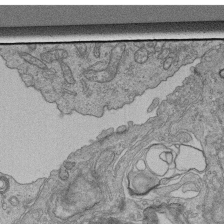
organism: Human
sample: Retinal organoid Rod and Cone cells